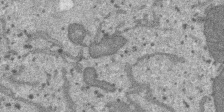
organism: Human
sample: Lung epithelial cells infected with SARS-CoV-2